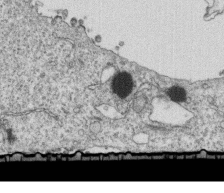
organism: Human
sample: HeLa cell HIV synapse